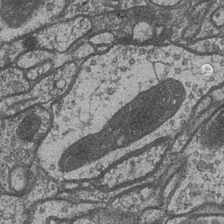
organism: Drosophila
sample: Optic medulla